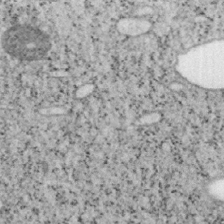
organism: Mouse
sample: OT-I killer T cells with ID8 ovarian cancer cells